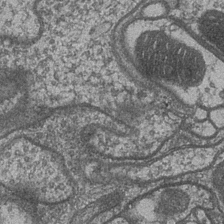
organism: Drosophila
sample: Optic medulla